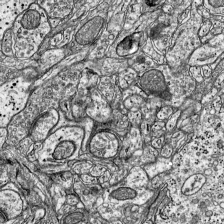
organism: Mouse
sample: Visual Cortex